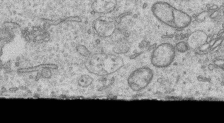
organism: Human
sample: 1205lu cells